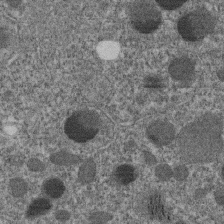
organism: C. elegans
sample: C. elegans embryo early stage